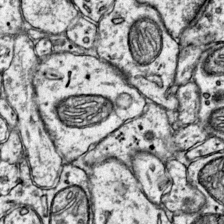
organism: Mouse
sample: Primary visual cortex